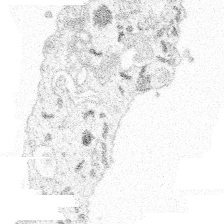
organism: Spongilla lacustris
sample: Multiple